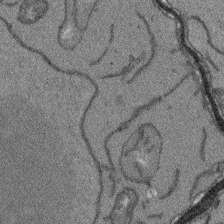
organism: Arabidopsis thaliana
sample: Root tip